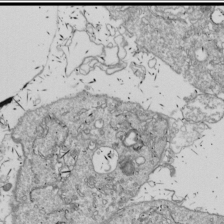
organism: Drosophila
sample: Cell division; meiosis; drosophila spermatocytes